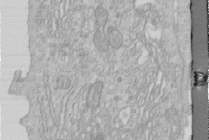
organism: Human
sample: Centriole in RPE cells